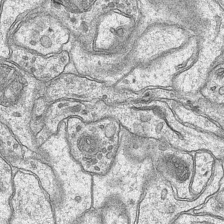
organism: Mouse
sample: CA1 Hippocampus